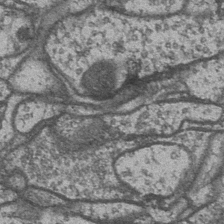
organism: Drosophila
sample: Optic medulla